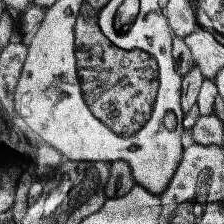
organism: Human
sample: Temporal Lobe